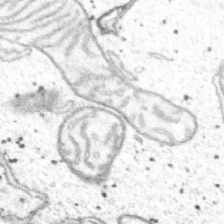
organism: Human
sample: HeLa cells